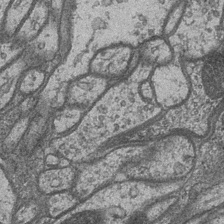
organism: Drosophila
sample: Optic medulla